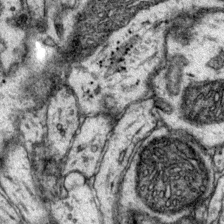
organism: Mouse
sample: Primary visual cortex